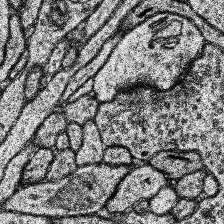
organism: Human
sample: Temporal Lobe